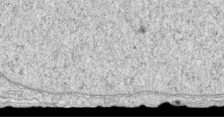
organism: Human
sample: HeLa cell HIV synapse